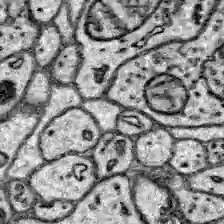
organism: Zebrafish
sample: Brain